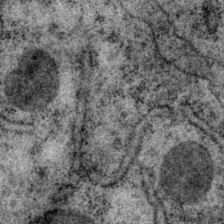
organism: P. pacificus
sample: Pharynx